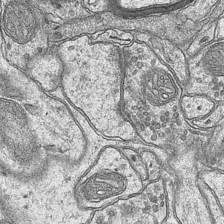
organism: Mouse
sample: CA1 Hippocampus